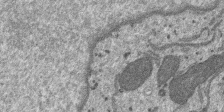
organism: Human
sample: Lung epithelial cells infected with SARS-CoV-2